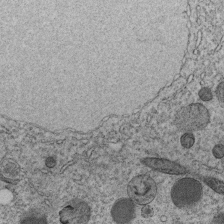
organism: C. elegans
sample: C. elegans embryo early stage